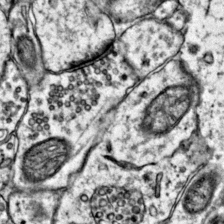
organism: Mouse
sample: Primary visual cortex